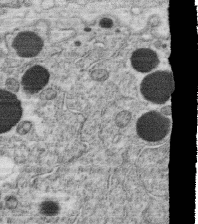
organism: C. elegans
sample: C. elegans oocyte; sperm cells